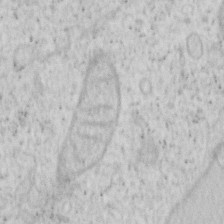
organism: Human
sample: HeLa cells